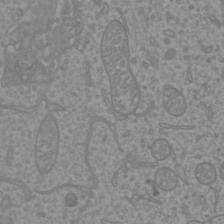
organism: Mouse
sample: Cortical neurons